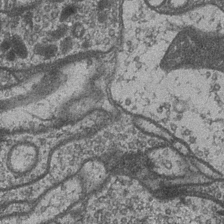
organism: Drosophila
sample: Optic medulla